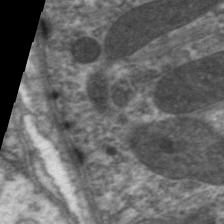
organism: C. elegans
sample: Pharynx